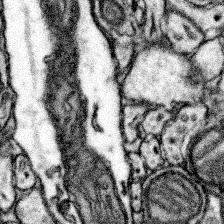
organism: Mouse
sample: Somatosensory cortex neuropil